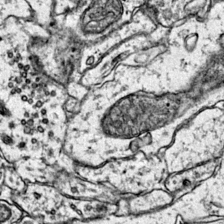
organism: Mouse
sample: Primary visual cortex